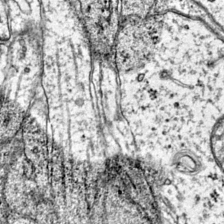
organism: Mouse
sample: Primary visual cortex